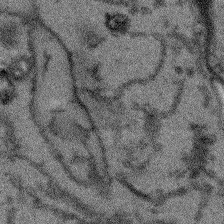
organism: Arabidopsis thaliana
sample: Root tip